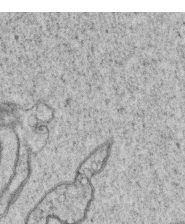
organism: C. elegans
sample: C. elegans oocyte; sperm cells